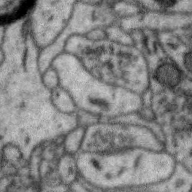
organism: Zebra finch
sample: Brain